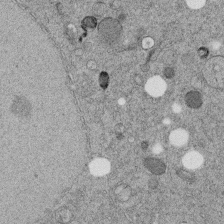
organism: C. elegans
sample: C. elegans embryo early stage